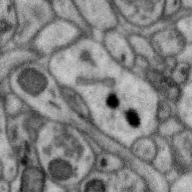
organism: Zebra finch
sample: Brain